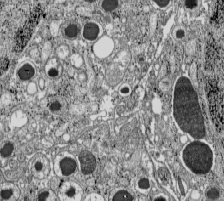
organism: C57BL Mouse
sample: Pancreatic islet